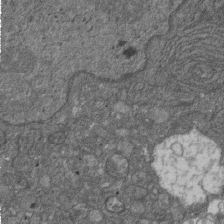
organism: Drosophila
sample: Nephrocyte